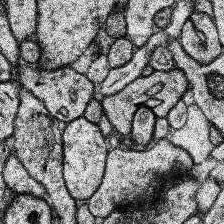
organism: Human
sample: Temporal Lobe